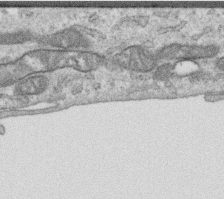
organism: Human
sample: Centriole in RPE cells